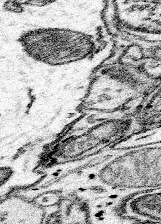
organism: Mouse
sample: Somatosensory cortex neuropil